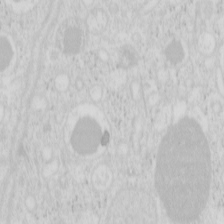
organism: Mouse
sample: Pancreas